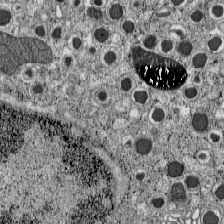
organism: C57BL Mouse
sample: Pancreatic islet